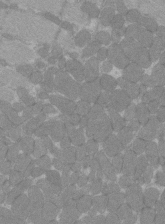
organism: C57BL Mouse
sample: Tibialis anterior muscle cell